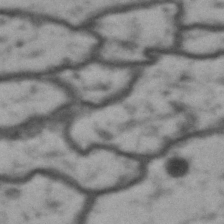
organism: Drosophila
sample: Brain